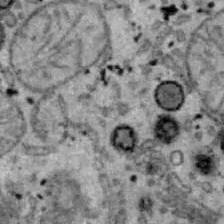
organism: Mouse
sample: Liver from an obese (ob/ob) mouse